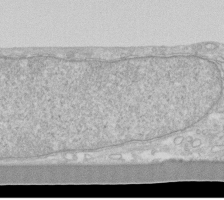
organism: Human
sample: Fibroblast cells